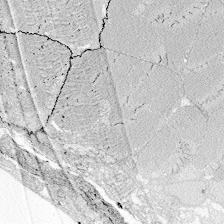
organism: Zebrafish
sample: Whole-Brain